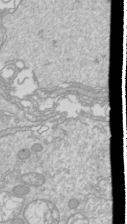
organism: Drosophila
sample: Cell division; meiosis; drosophila spermatocytes